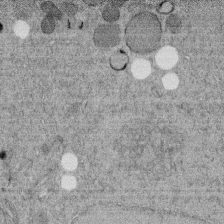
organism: C. elegans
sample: C. elegans embryo early stage